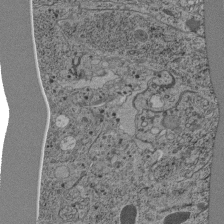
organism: C. elegans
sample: C. elegans pharynx